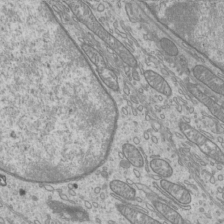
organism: Mouse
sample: Cilia; mouse epididymis